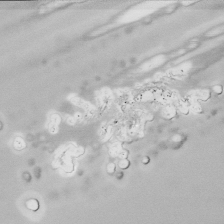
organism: Drosophila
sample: Cell division; meiosis; drosophila spermatocytes